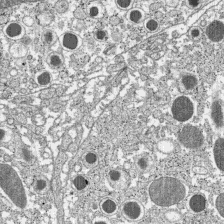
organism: C57BL Mouse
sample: Pancreatic islet